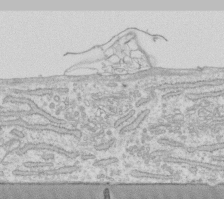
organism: Human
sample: Fibroblast cells